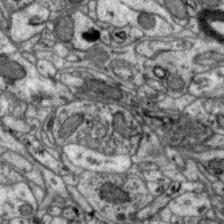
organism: Zebra finch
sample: Brain